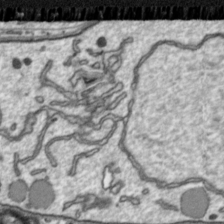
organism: Toxoplasma gondii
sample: Parasites in a vacuole inside a host cell